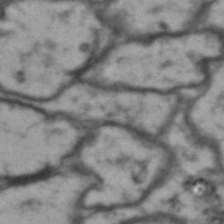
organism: Drosophila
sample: Brain